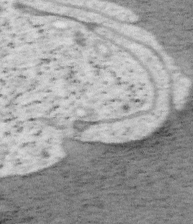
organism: Mouse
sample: OT-I killer T cells with ID8 ovarian cancer cells